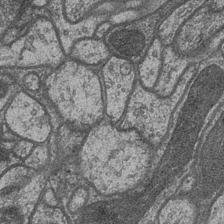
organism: Drosophila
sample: Optic medulla